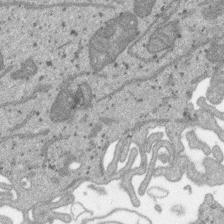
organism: Human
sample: Lung epithelial cells infected with SARS-CoV-2